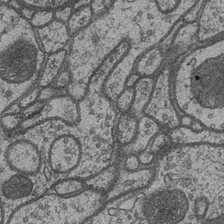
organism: Drosophila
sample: Optic medulla